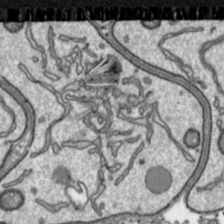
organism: Toxoplasma gondii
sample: Parasites in a vacuole inside a host cell